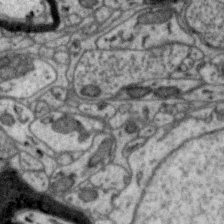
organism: Zebra finch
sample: Brain